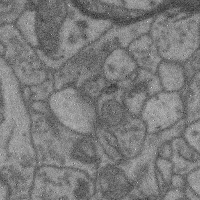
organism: Mouse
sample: Cerebral cortex